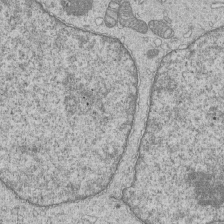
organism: Human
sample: MDA-MB-231 cells